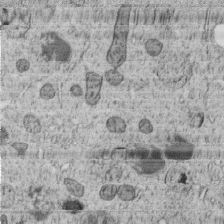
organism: C. elegans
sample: C. elegans embryo early stage